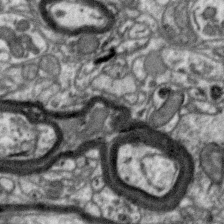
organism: Zebra finch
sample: Brain